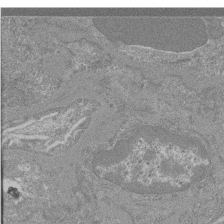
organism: Mouse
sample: Glomerulus